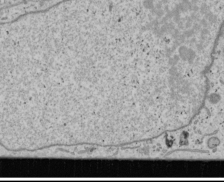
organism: Human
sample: Mitochondria in U2OS cells